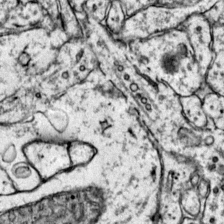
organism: Mouse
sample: Primary visual cortex